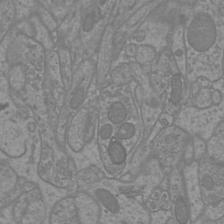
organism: Mouse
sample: Cortical neurons